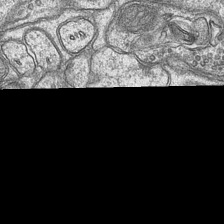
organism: Mouse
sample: CA1 Hippocampus